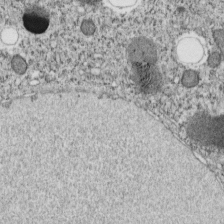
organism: C. elegans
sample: C. elegans embryo early stage